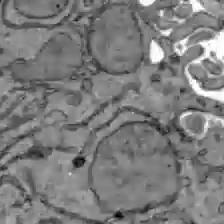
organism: C57BL Mouse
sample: Liver